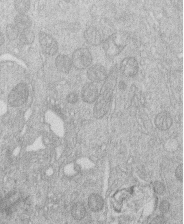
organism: Human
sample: Macrophage cells